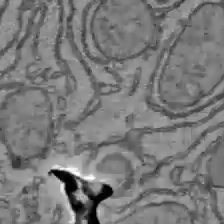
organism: C57BL Mouse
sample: Liver